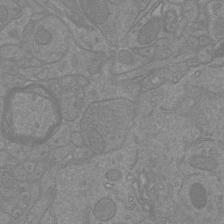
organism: Mouse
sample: Cortical neurons